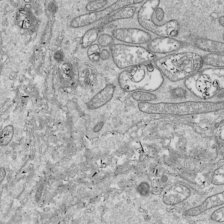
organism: Drosophila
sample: Cell division; meiosis; drosophila spermatocytes